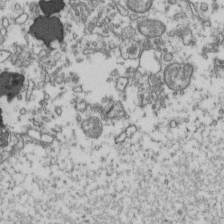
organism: Human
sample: Activated Jurkat CD4+ T cells